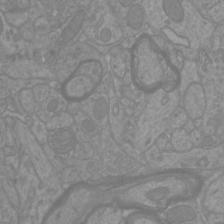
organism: Mouse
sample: Cortical neurons